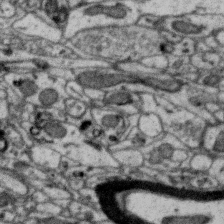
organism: Zebra finch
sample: Brain